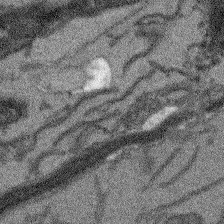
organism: Arabidopsis thaliana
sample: Root tip